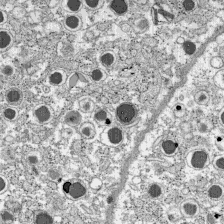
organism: C57BL Mouse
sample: Pancreatic islet